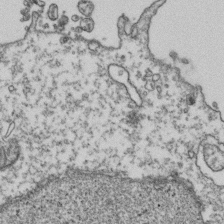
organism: Human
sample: Activated Jurkat CD4+ T cells